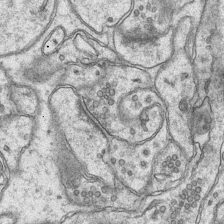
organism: Mouse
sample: CA1 Hippocampus